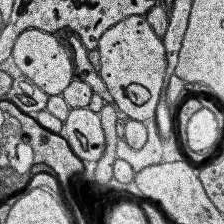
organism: Human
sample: Temporal Lobe